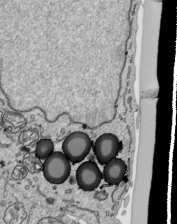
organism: Human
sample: Mitochondria in HCT116 cells